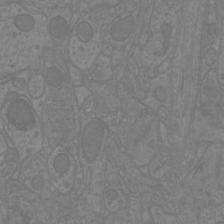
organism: Mouse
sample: Cortical neurons